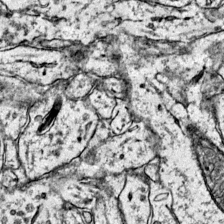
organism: Mouse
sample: Primary visual cortex